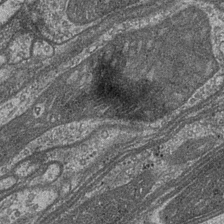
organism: Drosophila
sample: Optic medulla